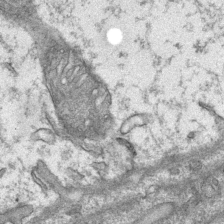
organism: Mouse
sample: CA1 Hippocampus